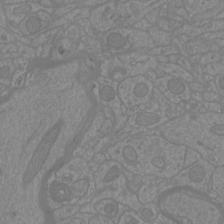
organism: Mouse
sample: Cortical neurons